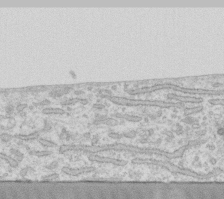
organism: Human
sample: Fibroblast cells